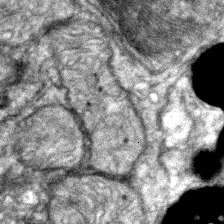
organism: Zebrafish